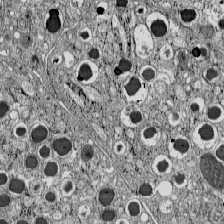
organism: C57BL Mouse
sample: Pancreatic islet